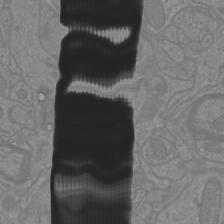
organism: Mouse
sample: Cortical neurons